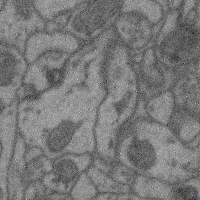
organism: Mouse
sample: Cerebral cortex